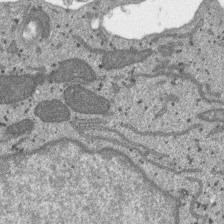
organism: Human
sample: Lung epithelial cells infected with SARS-CoV-2